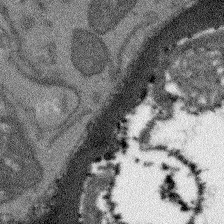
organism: Arabidopsis thaliana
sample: Root tip